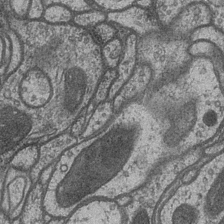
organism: Drosophila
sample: Optic medulla